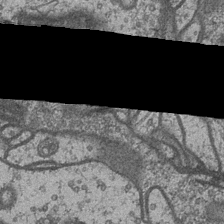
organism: Drosophila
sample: Optic medulla